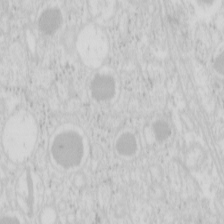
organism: Mouse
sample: Pancreas